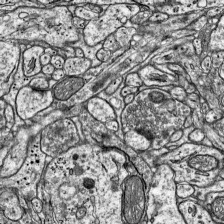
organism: Mouse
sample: Visual Cortex